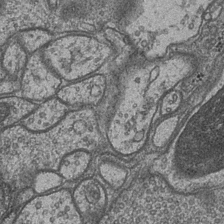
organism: Drosophila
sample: Optic medulla